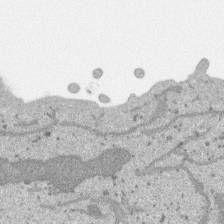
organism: Human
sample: Lung epithelial cells infected with SARS-CoV-2